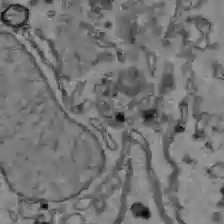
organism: C57BL Mouse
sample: Liver